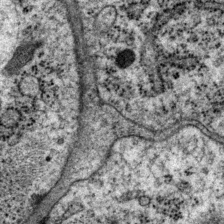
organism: P. pacificus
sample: Pharynx